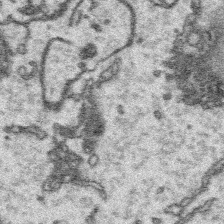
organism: Platynereis dumerilii